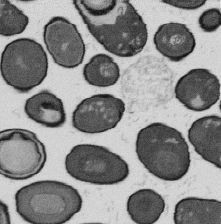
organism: B. subtilis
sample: Bacterial spore